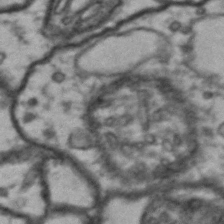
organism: Drosophila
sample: Brain